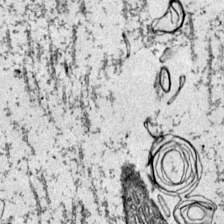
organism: Mouse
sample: Primary visual cortex